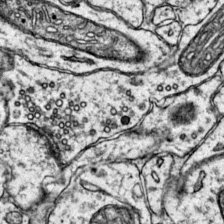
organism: Mouse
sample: Primary visual cortex